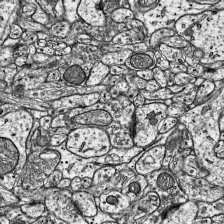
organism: Mouse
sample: Visual Cortex